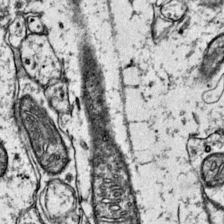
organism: Mouse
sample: Primary visual cortex